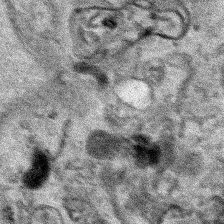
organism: Human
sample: Mitochondria in HCT116 cells